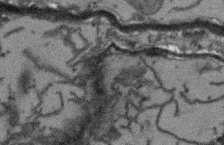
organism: Arabidopsis thaliana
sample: Root tip